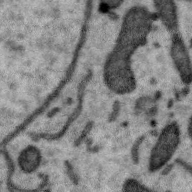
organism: Zebra finch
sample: Brain